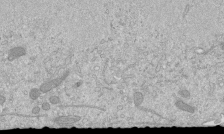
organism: Mouse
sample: ED-1 cell nuclei; centrioles